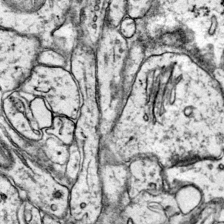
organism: Mouse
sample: Primary visual cortex